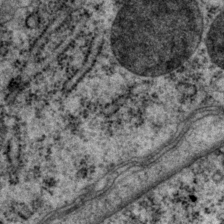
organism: P. pacificus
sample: Pharynx